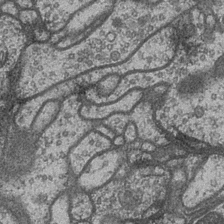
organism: Drosophila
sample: Optic medulla